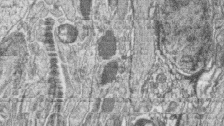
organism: Zebrafish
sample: synaptic ribbons in rod cells and cone cells